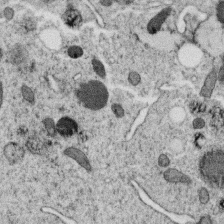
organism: C. elegans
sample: C. elegans oocyte; sperm cells